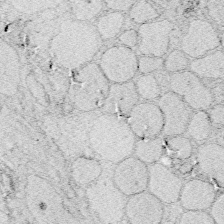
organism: Zebrafish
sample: Whole-Brain